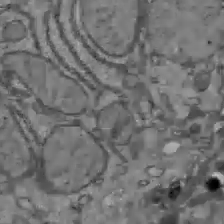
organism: C57BL Mouse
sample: Liver